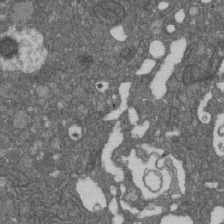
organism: Drosophila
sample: Nephrocyte